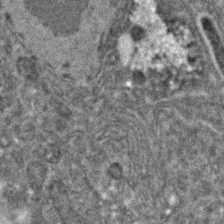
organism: C. elegans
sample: C. elegans embryo